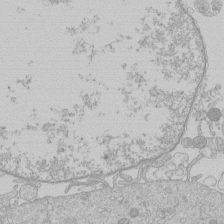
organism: Human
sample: Macrophage cells